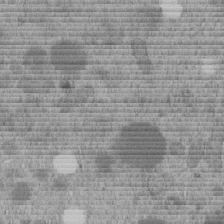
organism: C. elegans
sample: C. elegans embryo early stage